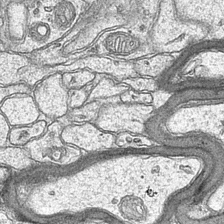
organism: Mouse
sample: CA1 Hippocampus